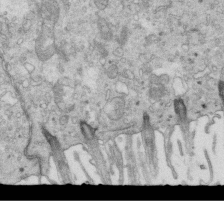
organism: Mouse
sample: Multiciliated cells